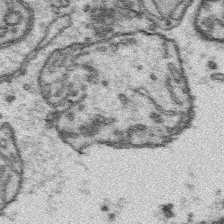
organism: Platynereis dumerilii